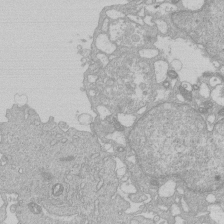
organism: Human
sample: Macrophage cells